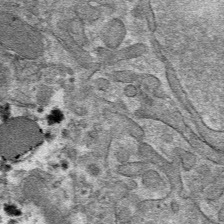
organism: Mouse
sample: Mouse hepatocytes